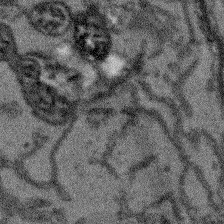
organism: Arabidopsis thaliana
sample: Root tip